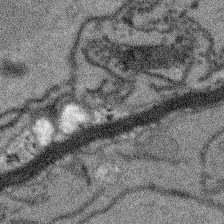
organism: Arabidopsis thaliana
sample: Root tip